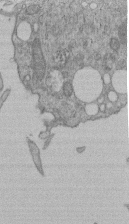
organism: Human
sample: Retinal organoid Rod and Cone cells